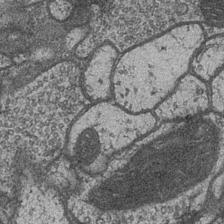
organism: Drosophila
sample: Optic medulla